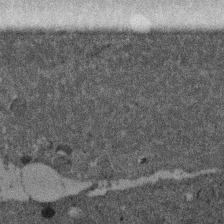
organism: Mouse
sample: Dividing mouse embryo 1 cell stage